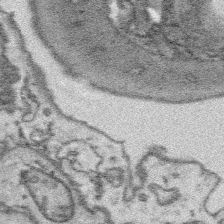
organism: Platynereis dumerilii